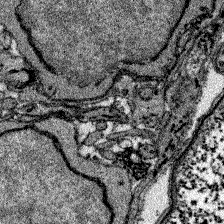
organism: Zebrafish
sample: Larval olfactory bulb